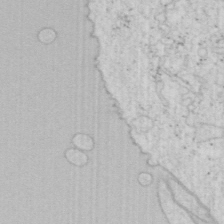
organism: Human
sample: HeLa cells